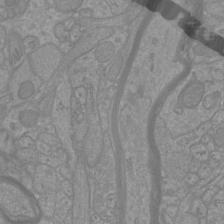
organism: Mouse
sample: Cortical neurons